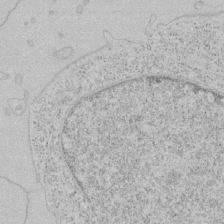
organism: Human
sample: Mitochondria in HCT116 cells